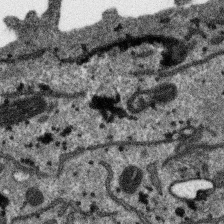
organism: Human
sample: Lung epithelial cells infected with SARS-CoV-2